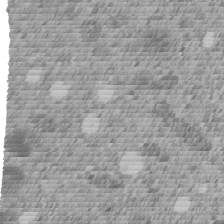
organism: C. elegans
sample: C. elegans embryo early stage